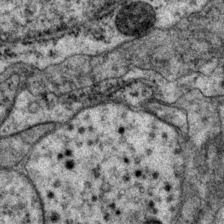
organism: P. pacificus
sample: Pharynx